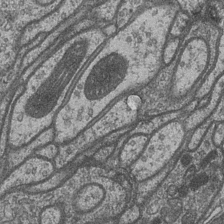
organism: Drosophila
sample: Optic medulla